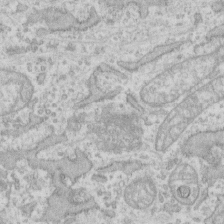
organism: Human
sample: Fibroblast cells